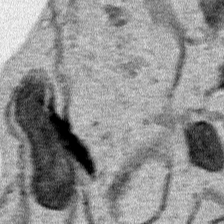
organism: Human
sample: Mitochondria in HCT116 cells